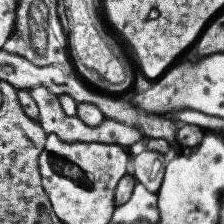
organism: Human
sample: Temporal Lobe